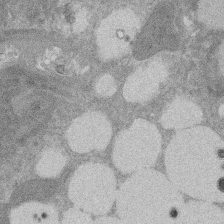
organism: Rat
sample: Salivary granule